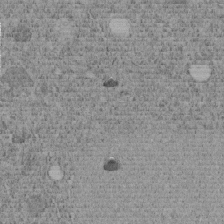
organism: C. elegans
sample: C. elegans embryo early stage